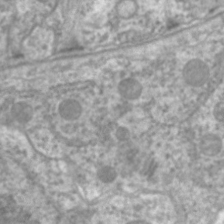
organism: C. elegans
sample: Pharynx